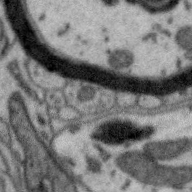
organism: Zebra finch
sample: Brain